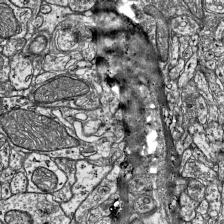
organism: Mouse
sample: Visual Cortex